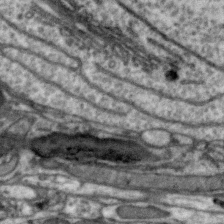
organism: Zebra finch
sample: Brain